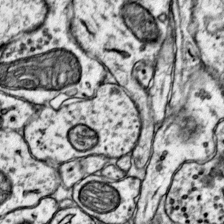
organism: Mouse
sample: Primary visual cortex